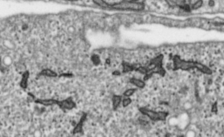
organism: Toxoplasma gondii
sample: Parasites in a vacuole inside a host cell